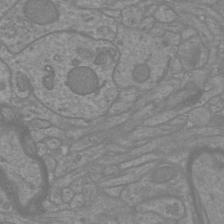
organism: Mouse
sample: Cortical neurons